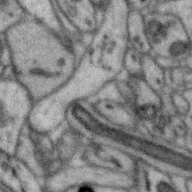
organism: Zebra finch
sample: Brain